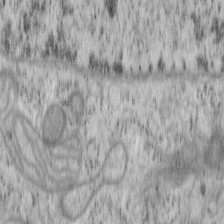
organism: Human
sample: HeLa cells